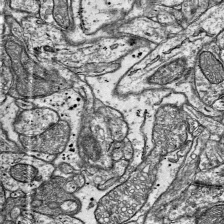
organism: Mouse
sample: Visual Cortex